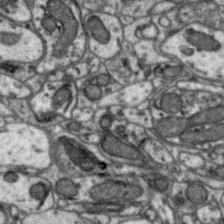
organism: Zebra finch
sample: Brain